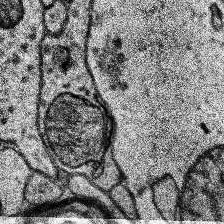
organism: Human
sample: Temporal Lobe